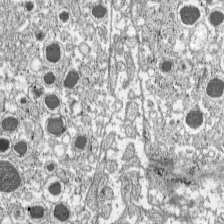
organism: C57BL Mouse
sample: Pancreatic islet